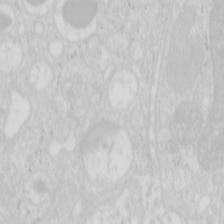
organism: Mouse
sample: Pancreas